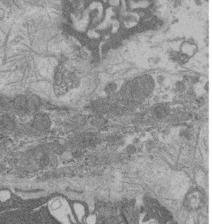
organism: Rat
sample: Salivary granule